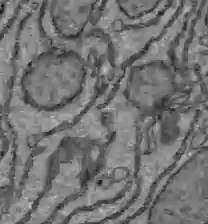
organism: C57BL Mouse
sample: Liver